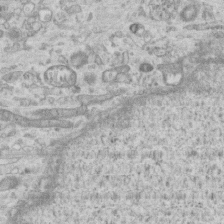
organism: Mouse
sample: Centriole in ependymal cells